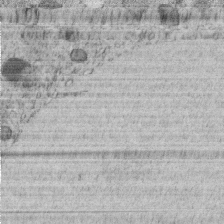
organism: C. elegans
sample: C. elegans embryo early stage